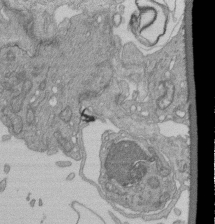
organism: Human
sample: Retinal organoid Rod and Cone cells